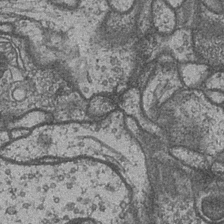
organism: Drosophila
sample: Optic medulla